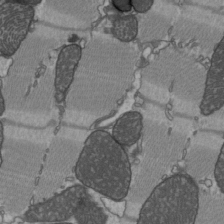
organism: C57BL Mouse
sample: Heart